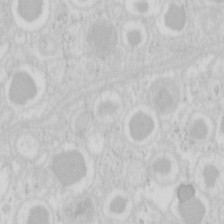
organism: Mouse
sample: Pancreas